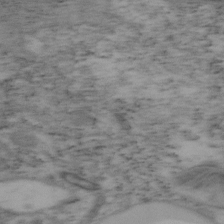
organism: Mouse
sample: OT-I killer T cells with ID8 ovarian cancer cells